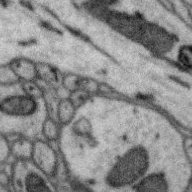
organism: Zebra finch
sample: Brain